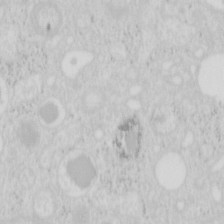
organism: Mouse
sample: Pancreas